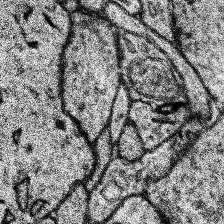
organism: Human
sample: Temporal Lobe